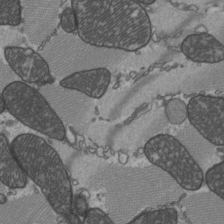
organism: C57BL Mouse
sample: Heart